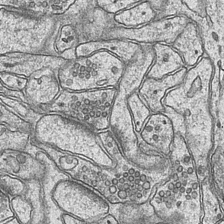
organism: Mouse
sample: CA1 Hippocampus